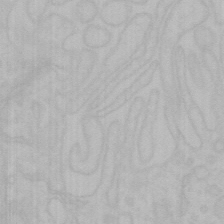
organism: Mouse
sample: Choroid plexus